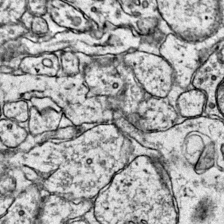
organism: Mouse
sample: Primary visual cortex